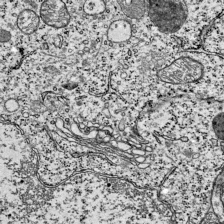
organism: Mouse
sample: Visual Cortex